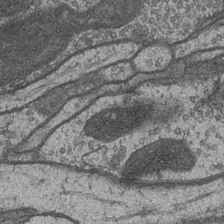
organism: Drosophila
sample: Optic medulla